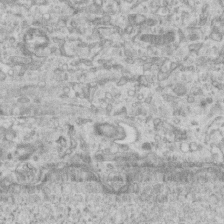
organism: Mouse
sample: Centriole in ependymal cells